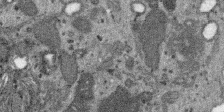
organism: Human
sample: Lung epithelial cells infected with SARS-CoV-2